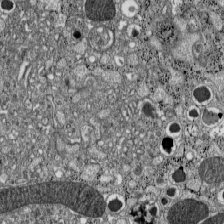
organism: C57BL Mouse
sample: Pancreatic islet